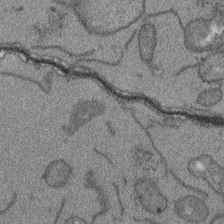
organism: Arabidopsis thaliana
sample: Root tip